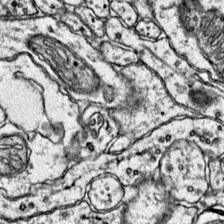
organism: Mouse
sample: Primary visual cortex